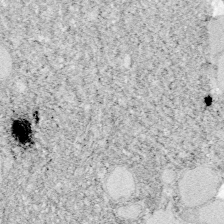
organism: Zebrafish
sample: Whole-Brain